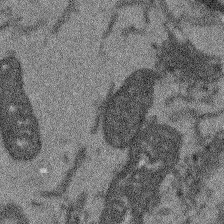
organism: Arabidopsis thaliana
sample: Root tip